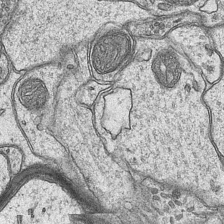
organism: Mouse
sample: CA1 Hippocampus